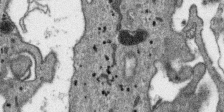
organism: Human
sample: Lung epithelial cells, uninfected (mock) control